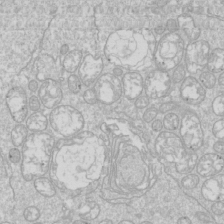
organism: Drosophila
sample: Cell division; meiosis; drosophila spermatocytes